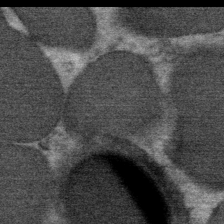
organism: Mouse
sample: Mouse Salivary gland